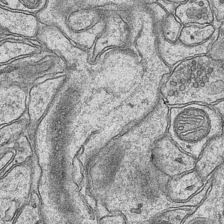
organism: Mouse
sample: CA1 Hippocampus